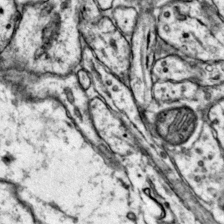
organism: Mouse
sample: Primary visual cortex